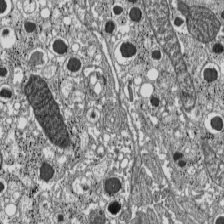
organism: C57BL Mouse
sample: Pancreatic islet